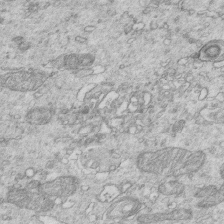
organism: Mouse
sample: Multiciliated cells